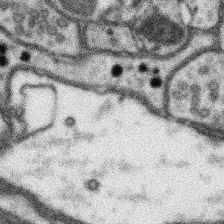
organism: Mouse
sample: Somatosensory cortex neuropil